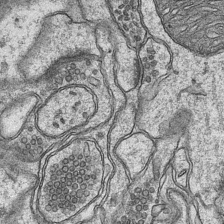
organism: Mouse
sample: CA1 Hippocampus